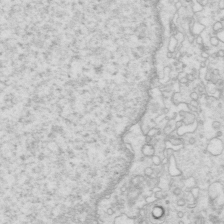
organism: Mouse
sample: Multiciliated cells